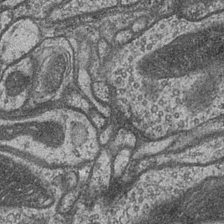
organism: Drosophila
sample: Optic medulla